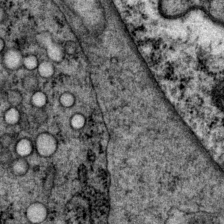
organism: P. pacificus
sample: Pharynx